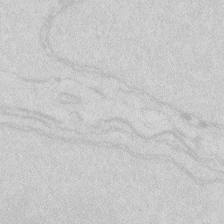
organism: Zebrafish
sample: Macrophage